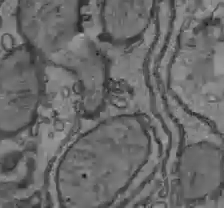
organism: C57BL Mouse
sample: Liver